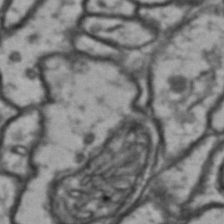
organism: Drosophila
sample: Brain